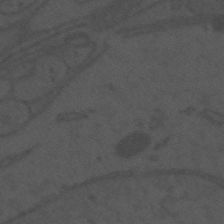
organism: Mouse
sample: Suprachiasmatic nucleus